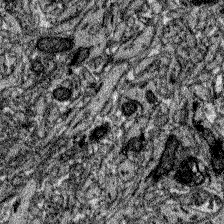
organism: Zebrafish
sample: Larval olfactory bulb